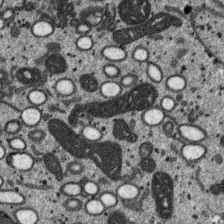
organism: Human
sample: Lung epithelial cells infected with SARS-CoV-2